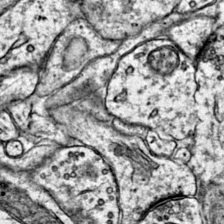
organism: Mouse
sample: Primary visual cortex